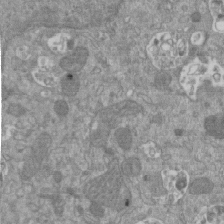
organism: Mouse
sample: ED-1 cell nuclei; centrioles